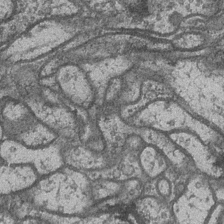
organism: Drosophila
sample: Optic medulla